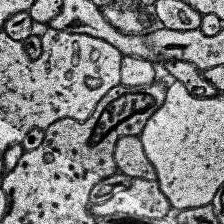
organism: Human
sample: Temporal Lobe